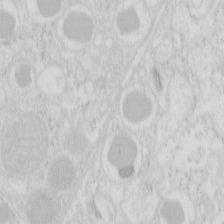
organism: Mouse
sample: Pancreas